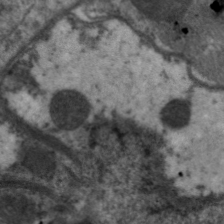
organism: C. elegans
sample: Pharynx